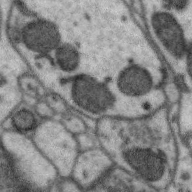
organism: Zebra finch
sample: Brain